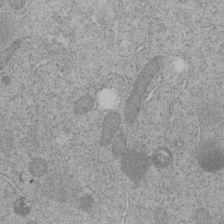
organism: C. elegans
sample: C. elegans embryo early stage